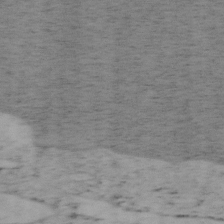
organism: Mouse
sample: OT-I killer T cells with ID8 ovarian cancer cells